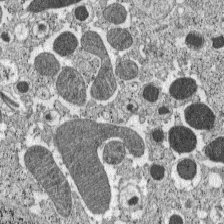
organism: C57BL Mouse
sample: Pancreatic islet